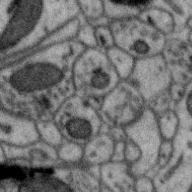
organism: Zebra finch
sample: Brain